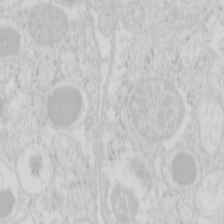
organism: Mouse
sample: Pancreas